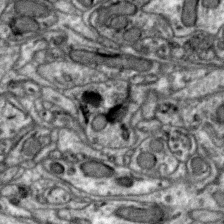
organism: Zebra finch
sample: Brain